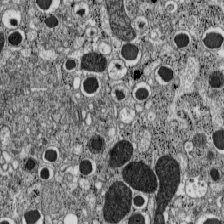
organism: C57BL Mouse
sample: Pancreatic islet